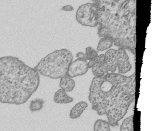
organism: Human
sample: MDA-MB-231 cells